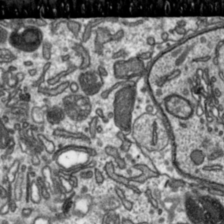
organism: Toxoplasma gondii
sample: Parasites in a vacuole inside a host cell